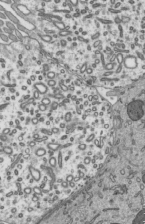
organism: Mouse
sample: Mouse epididymis efferent ductule cilia